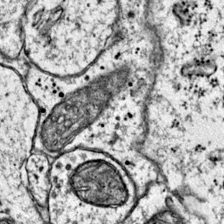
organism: Mouse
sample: Primary visual cortex